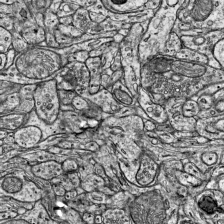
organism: Mouse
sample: Visual Cortex